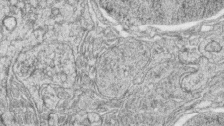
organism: Zebrafish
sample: synaptic ribbons in rod cells and cone cells